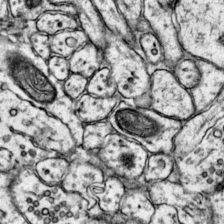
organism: Mouse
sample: Primary visual cortex